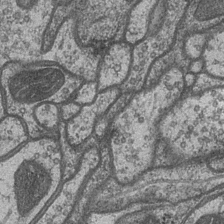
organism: Drosophila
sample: Optic medulla